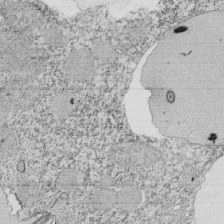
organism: Tetrahymena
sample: Cilia in tetrahymena